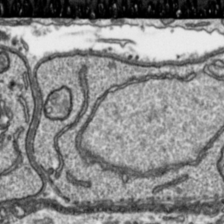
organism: Toxoplasma gondii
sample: Parasites in a vacuole inside a host cell